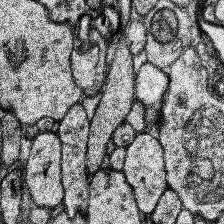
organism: Human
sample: Temporal Lobe